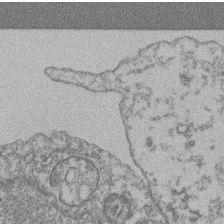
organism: Mouse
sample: T cell stromal cell synapse